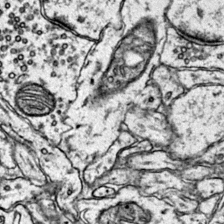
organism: Mouse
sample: Primary visual cortex